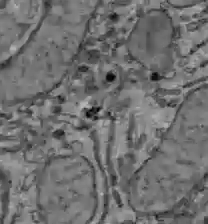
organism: C57BL Mouse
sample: Liver